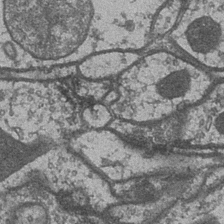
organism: Drosophila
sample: Optic medulla